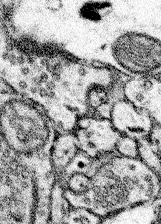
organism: Mouse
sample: Somatosensory cortex neuropil